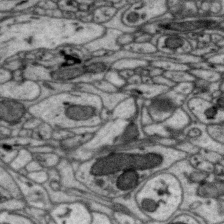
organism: Zebra finch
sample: Brain